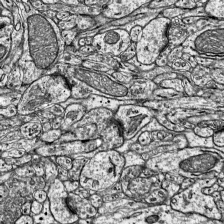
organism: Mouse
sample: Visual Cortex